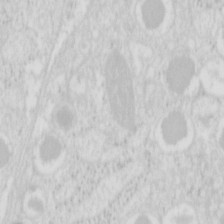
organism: Mouse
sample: Pancreas